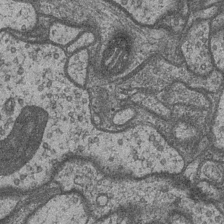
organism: Drosophila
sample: Optic medulla